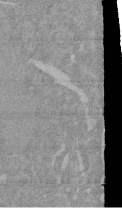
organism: Mouse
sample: ED-1 cell nuclei; centrioles